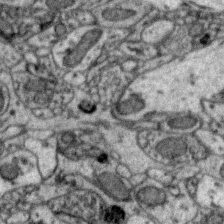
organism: Zebra finch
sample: Brain